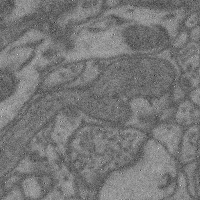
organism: Mouse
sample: Cerebral cortex